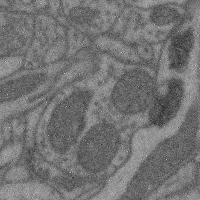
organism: Mouse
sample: Cerebral cortex